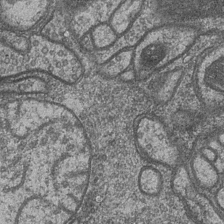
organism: Drosophila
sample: Optic medulla